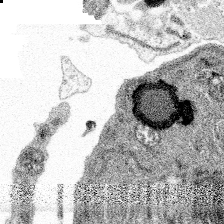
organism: Spongilla lacustris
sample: Multiple